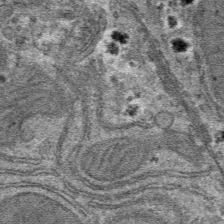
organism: Mouse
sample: Mouse hepatocytes